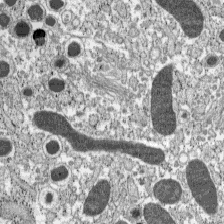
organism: C57BL Mouse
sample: Pancreatic islet